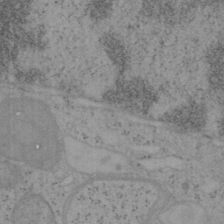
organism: Mouse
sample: OT-I killer T cells with ID8 ovarian cancer cells